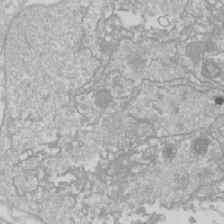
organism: Drosophila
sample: Cell division; meiosis; drosophila spermatocytes